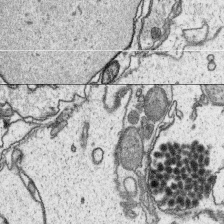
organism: Platynereis dumerilii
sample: Parapodia